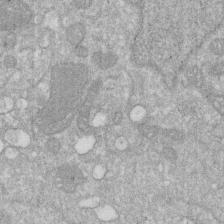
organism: Human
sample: HIV infected U937 cells